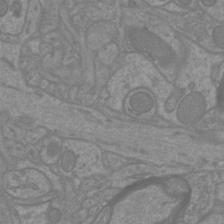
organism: Mouse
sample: Cortical neurons